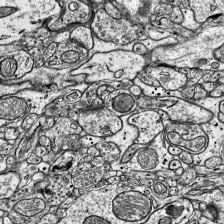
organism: Mouse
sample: Visual Cortex